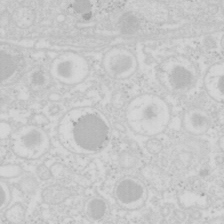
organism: Mouse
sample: Pancreas